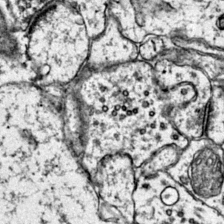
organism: Mouse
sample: Primary visual cortex